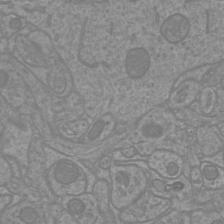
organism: Mouse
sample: Cortical neurons